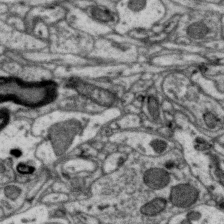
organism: Zebra finch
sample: Brain